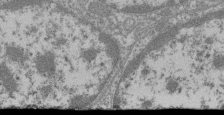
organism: Mouse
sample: Glomerulus